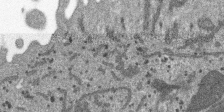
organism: Human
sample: Lung epithelial cells infected with SARS-CoV-2